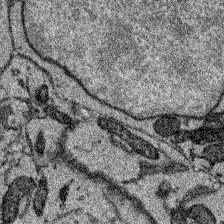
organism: Zebrafish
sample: Larval olfactory bulb